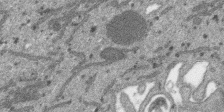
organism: Human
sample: Lung epithelial cells infected with SARS-CoV-2